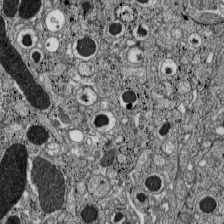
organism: C57BL Mouse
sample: Pancreatic islet